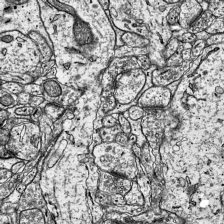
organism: Mouse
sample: Visual Cortex